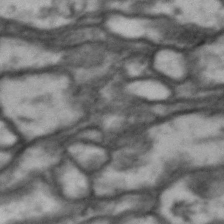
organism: Drosophila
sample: Brain